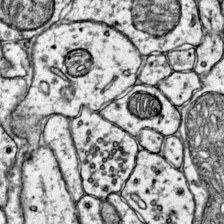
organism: Mouse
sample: Primary visual cortex